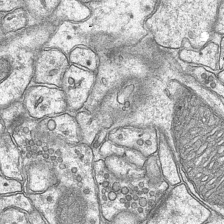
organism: Mouse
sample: CA1 Hippocampus